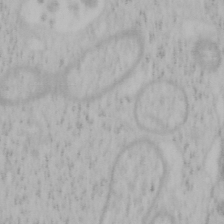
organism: Mouse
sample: OT-I killer T cells with ID8 ovarian cancer cells